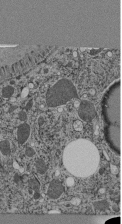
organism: C. elegans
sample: C. elegans pharynx